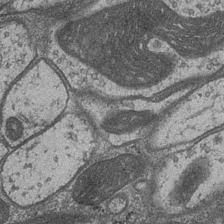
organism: Drosophila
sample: Optic medulla